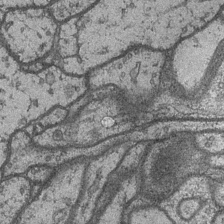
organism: Drosophila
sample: Optic medulla